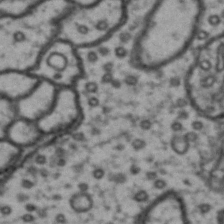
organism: Drosophila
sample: Brain